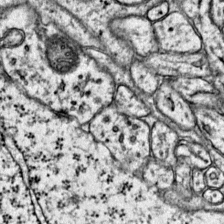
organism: Mouse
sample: Primary visual cortex